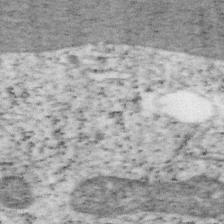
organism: Mouse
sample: OT-I killer T cells with ID8 ovarian cancer cells